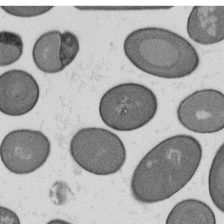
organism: B. subtilis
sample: Bacterial spore